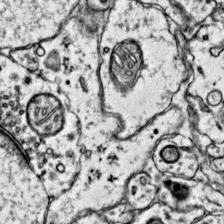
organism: Mouse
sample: Primary visual cortex